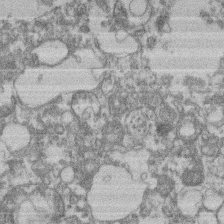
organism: Mouse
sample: T cell stromal cell synapse